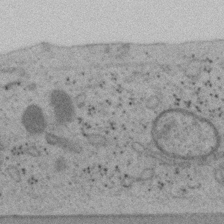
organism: Human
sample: HeLa cells